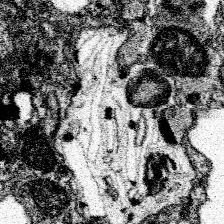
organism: Spongilla lacustris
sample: Neuroid cell